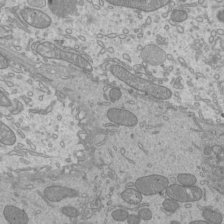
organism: Mouse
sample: Cilia; mouse epididymis